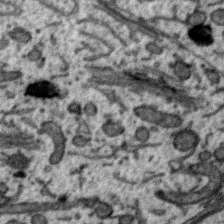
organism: Zebra finch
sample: Brain